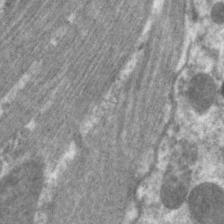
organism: C. elegans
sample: Pharynx